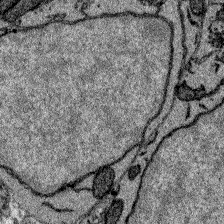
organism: Zebrafish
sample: Larval olfactory bulb